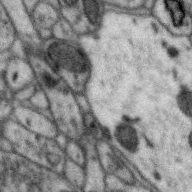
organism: Zebra finch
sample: Brain